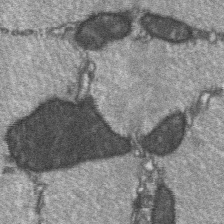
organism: C57BL Mouse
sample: Soleus